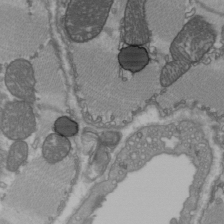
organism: C57BL Mouse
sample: Heart